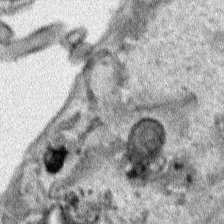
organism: Human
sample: Mitochondria in HCT116 cells